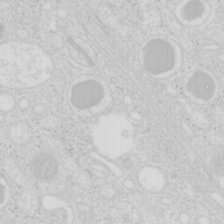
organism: Mouse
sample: Pancreas